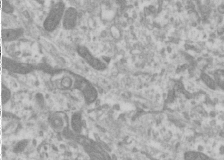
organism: Human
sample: Cilia; basal body in RPE cells